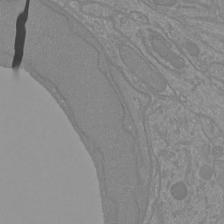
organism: Mouse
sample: Cortical neurons